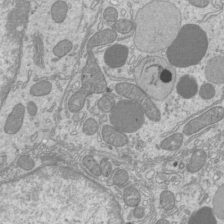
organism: Mouse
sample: Cilia; mouse epididymis